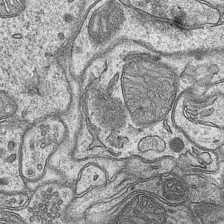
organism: Mouse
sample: CA1 Hippocampus